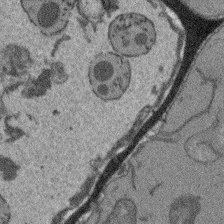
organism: Arabidopsis thaliana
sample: Root tip